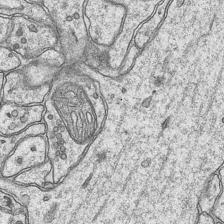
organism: Mouse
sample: CA1 Hippocampus